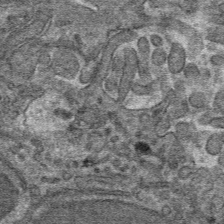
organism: Mouse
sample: Mouse hepatocytes